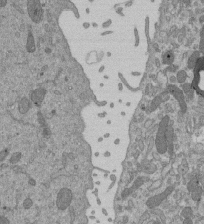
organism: Mouse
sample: ED-1 cell nuclei; centrioles